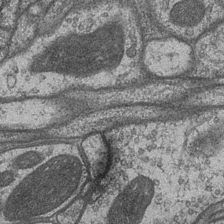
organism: Drosophila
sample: Optic medulla